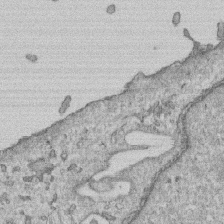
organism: Human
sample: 1205lu cells